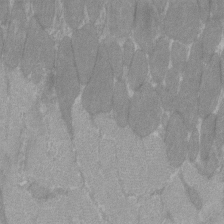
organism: C57BL Mouse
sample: Tibialis anterior muscle cell